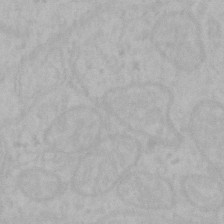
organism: Mouse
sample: Choroid plexus